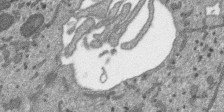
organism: Human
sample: Lung epithelial cells infected with SARS-CoV-2